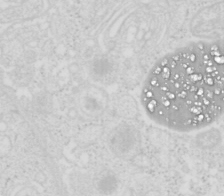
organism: Mouse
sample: Pancreas